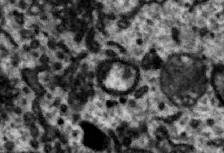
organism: Human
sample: HeLa cells